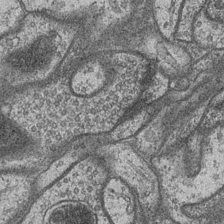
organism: Drosophila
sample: Optic medulla